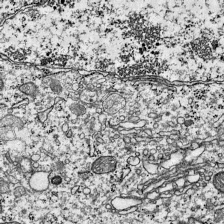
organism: Mouse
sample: Visual Cortex